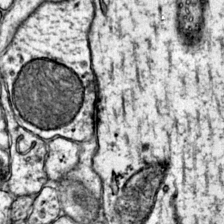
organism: Mouse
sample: Primary visual cortex